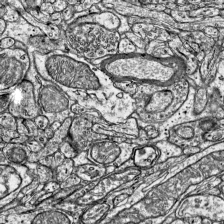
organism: Mouse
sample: Visual Cortex